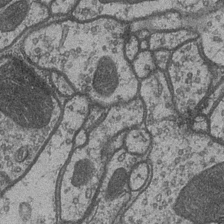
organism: Drosophila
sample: Optic medulla